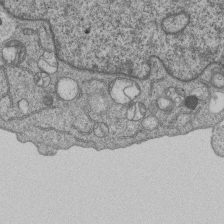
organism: Human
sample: MDA-MB-231 cells